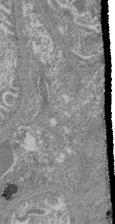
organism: Mouse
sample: Glomerulus